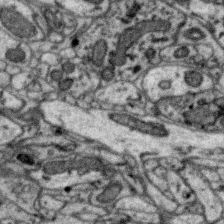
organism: Zebra finch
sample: Brain